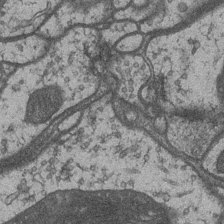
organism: Drosophila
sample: Optic medulla